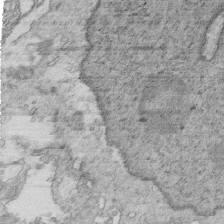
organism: Mouse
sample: Multiciliated cells